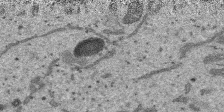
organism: Human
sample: Lung epithelial cells infected with SARS-CoV-2